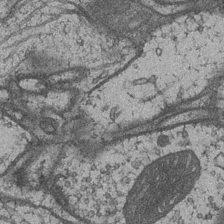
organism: Drosophila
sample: Optic medulla